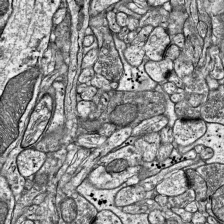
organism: Mouse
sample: Visual Cortex